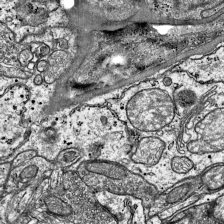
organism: Mouse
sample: Visual Cortex